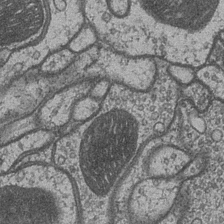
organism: Drosophila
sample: Optic medulla